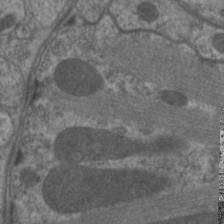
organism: C. elegans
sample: Pharynx